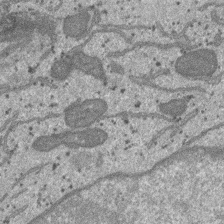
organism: Human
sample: Lung epithelial cells infected with SARS-CoV-2